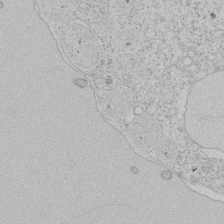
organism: Tetrahymena